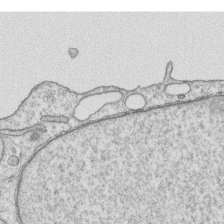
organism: Human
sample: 1205lu cells